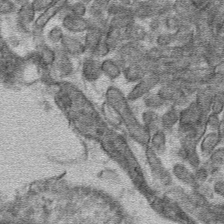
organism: Mouse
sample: Mouse hepatocytes